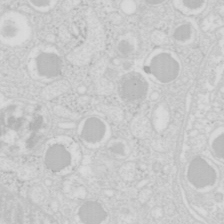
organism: Mouse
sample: Pancreas